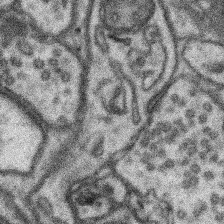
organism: Mouse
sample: Somatosensory cortex neuropil